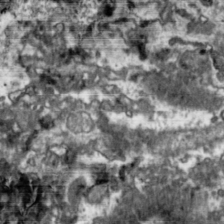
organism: Toxoplasma gondii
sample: Parasites in a vacuole inside a host cell